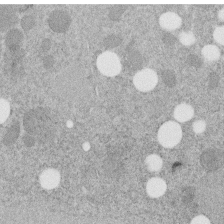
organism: C. elegans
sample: C. elegans embryo early stage